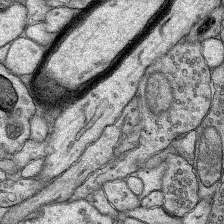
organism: Rat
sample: Hippocampus